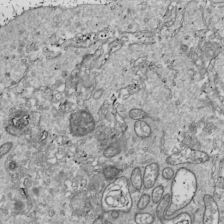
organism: Drosophila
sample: Cell division; meiosis; drosophila spermatocytes